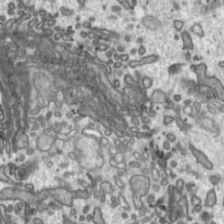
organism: Toxoplasma gondii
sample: Parasites in a vacuole inside a host cell